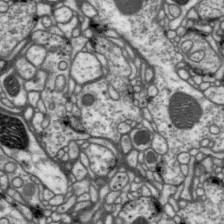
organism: Drosophila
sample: Protocerebral bridge